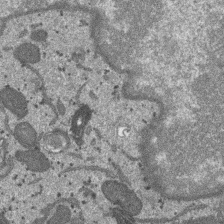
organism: Human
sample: Lung epithelial cells infected with SARS-CoV-2